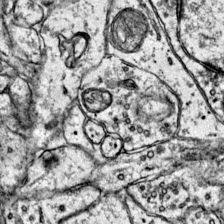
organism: Mouse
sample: Primary visual cortex